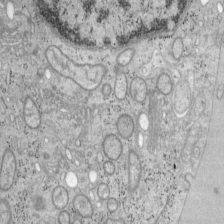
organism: Mouse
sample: OT-I killer T cells with ID8 ovarian cancer cells